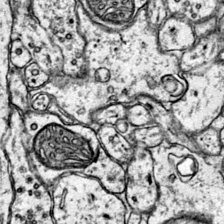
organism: Mouse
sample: Primary visual cortex